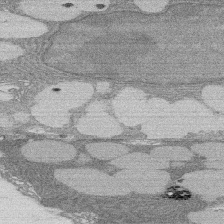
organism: Rat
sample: Salivary granule